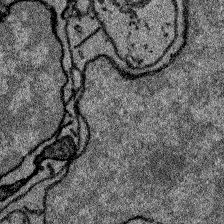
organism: Zebrafish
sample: Larval olfactory bulb